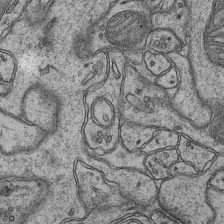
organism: Mouse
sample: CA1 Hippocampus